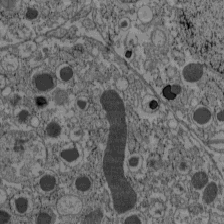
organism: C57BL Mouse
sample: Pancreatic islet